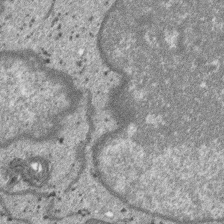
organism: Human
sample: Lung epithelial cells infected with SARS-CoV-2